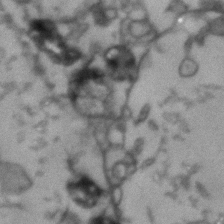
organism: Human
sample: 1205lu cells